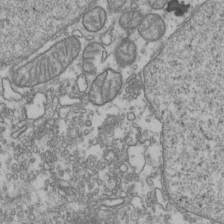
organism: Human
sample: Activated Jurkat CD4+ T cells